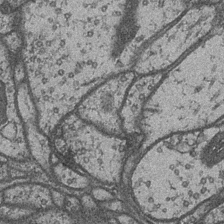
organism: Drosophila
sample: Optic medulla